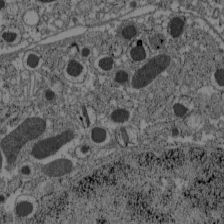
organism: C57BL Mouse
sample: Pancreatic islet